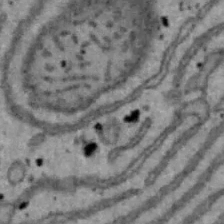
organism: Mouse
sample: Liver